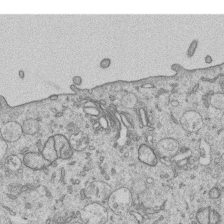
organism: Human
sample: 1205lu cells